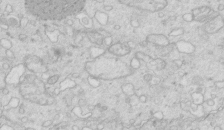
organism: Mouse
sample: Multiciliated cells